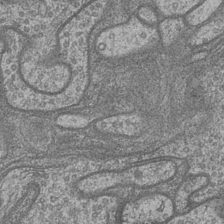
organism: Drosophila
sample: Optic medulla